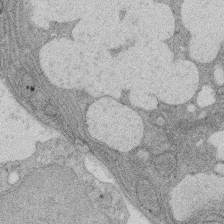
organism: Rat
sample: Salivary granule